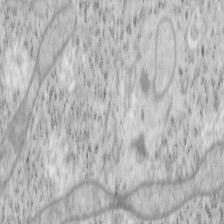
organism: Human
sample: HeLa cells